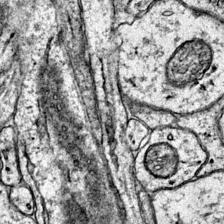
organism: Mouse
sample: Primary visual cortex